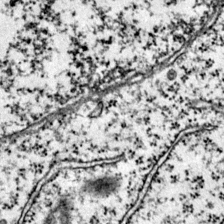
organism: Mouse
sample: Primary visual cortex